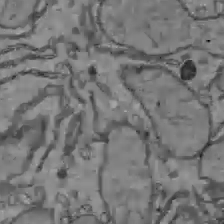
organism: C57BL Mouse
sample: Liver